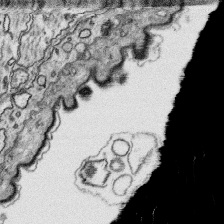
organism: Platynereis dumerilii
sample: Parapodia